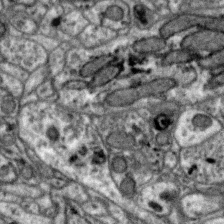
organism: Zebra finch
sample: Brain